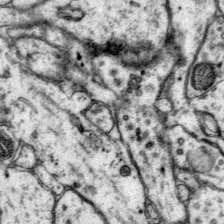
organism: Mouse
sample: Primary visual cortex